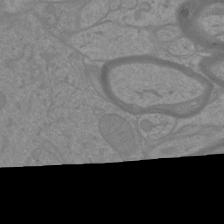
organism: Mouse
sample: Cortical neurons